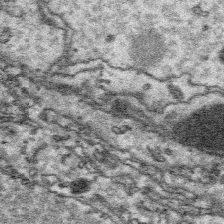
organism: Platynereis dumerilii